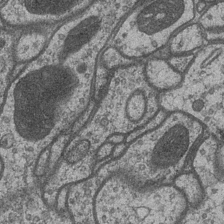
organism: Drosophila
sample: Optic medulla